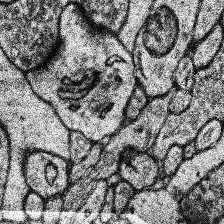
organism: Human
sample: Temporal Lobe